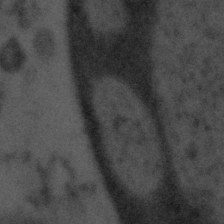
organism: Tuwongella immobilis